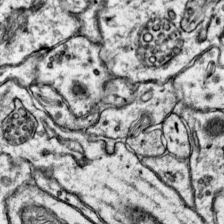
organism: Mouse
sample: Primary visual cortex